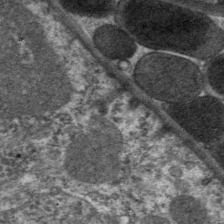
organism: C. elegans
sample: Pharynx